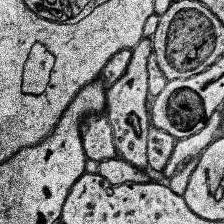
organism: Human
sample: Temporal Lobe